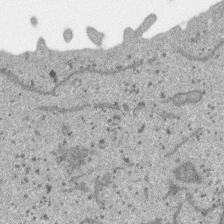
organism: Human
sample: Lung epithelial cells infected with SARS-CoV-2